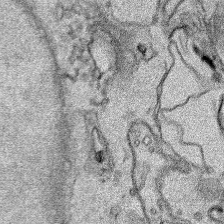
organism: Human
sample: Mitochondria in HCT116 cells